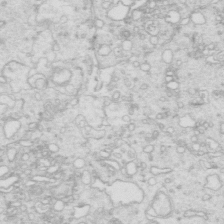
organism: Mouse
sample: Multiciliated cells